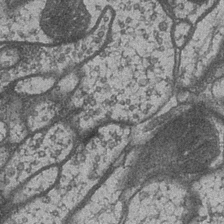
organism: Drosophila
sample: Optic medulla